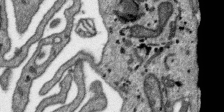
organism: Human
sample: Lung epithelial cells, uninfected (mock) control